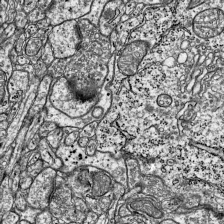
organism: Mouse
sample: Visual Cortex